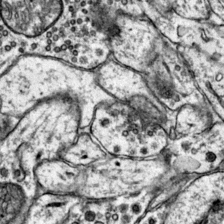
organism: Mouse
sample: Primary visual cortex